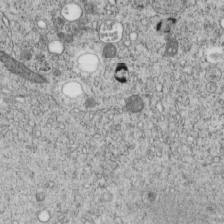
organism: C. elegans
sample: C. elegans embryo early stage